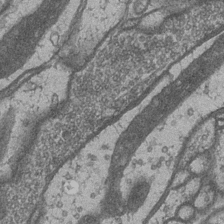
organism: Drosophila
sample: Optic medulla